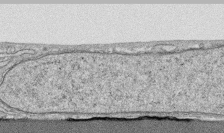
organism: Human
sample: CRL-1474